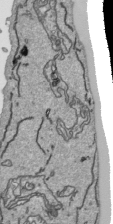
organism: Human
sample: Mitochondria in HCT116 cells